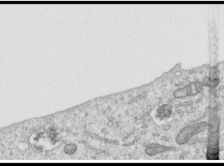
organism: Human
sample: Centriole in RPE cells